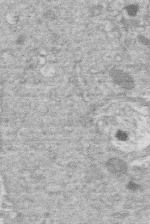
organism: Human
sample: Macrophage cells